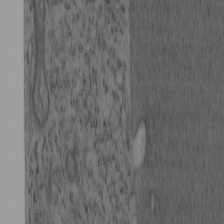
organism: Human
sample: HeLa cells